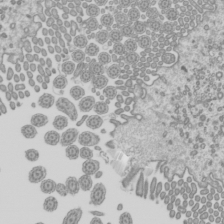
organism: Mouse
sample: Cilia; mouse epididymis